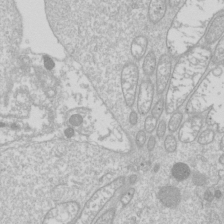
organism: Drosophila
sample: Cell division; meiosis; drosophila spermatocytes